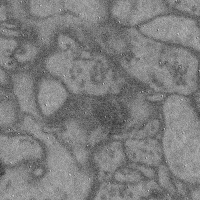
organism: Mouse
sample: Cerebral cortex